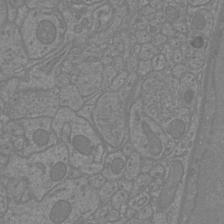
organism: Mouse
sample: Cortical neurons